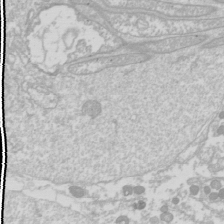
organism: Drosophila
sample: Cell division; meiosis; drosophila spermatocytes